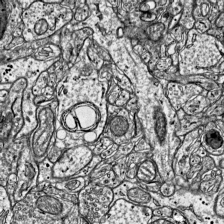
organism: Mouse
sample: Visual Cortex